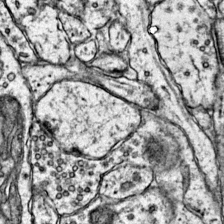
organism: Mouse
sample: Primary visual cortex